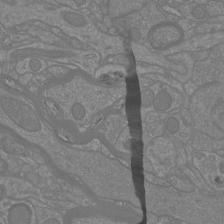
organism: Mouse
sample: Cortical neurons